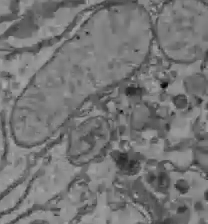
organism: C57BL Mouse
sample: Liver